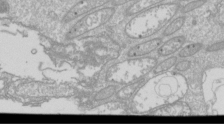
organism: Drosophila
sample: Cell division; meiosis; drosophila spermatocytes